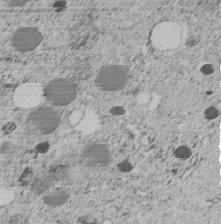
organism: C. elegans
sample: C. elegans embryo early stage